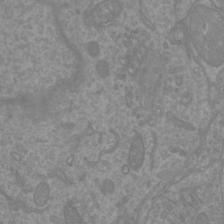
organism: Mouse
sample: Cortical neurons